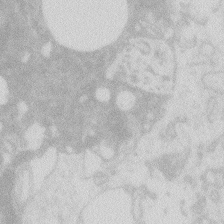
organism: Zebrafish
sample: Macrophage